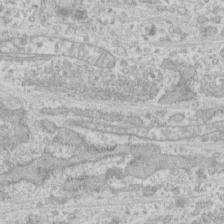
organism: Human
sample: CRL-1474